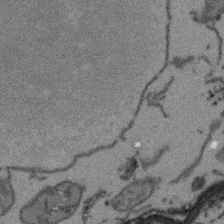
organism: Arabidopsis thaliana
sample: Root tip